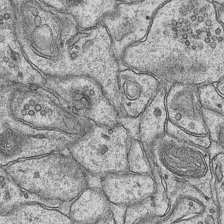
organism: Mouse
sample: CA1 Hippocampus